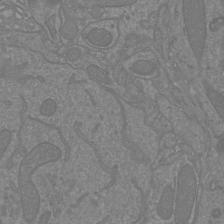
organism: Mouse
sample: Cortical neurons